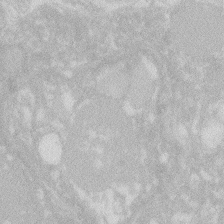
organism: Zebrafish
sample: Macrophage